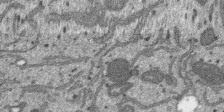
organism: Human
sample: Lung epithelial cells infected with SARS-CoV-2